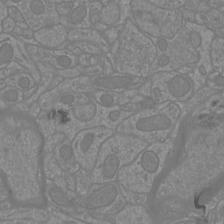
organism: Mouse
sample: Cortical neurons